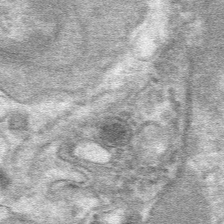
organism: Mouse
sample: Mouse hepatocytes